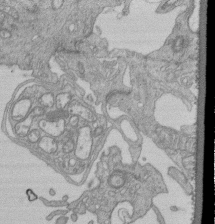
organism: Human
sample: Retinal organoid Rod and Cone cells